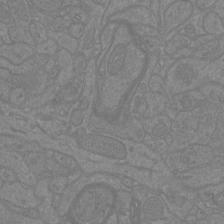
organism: Mouse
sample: Cortical neurons